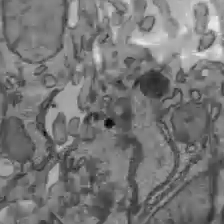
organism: C57BL Mouse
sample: Liver